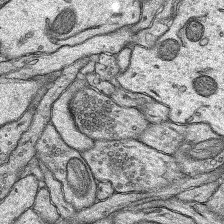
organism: Rat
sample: Hippocampus